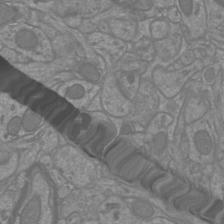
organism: Mouse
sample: Cortical neurons